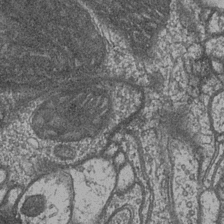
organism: Drosophila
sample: Optic medulla